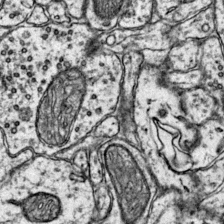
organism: Mouse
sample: Primary visual cortex